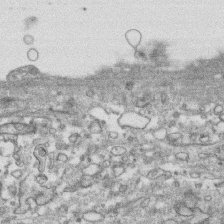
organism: Human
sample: CRL-1474